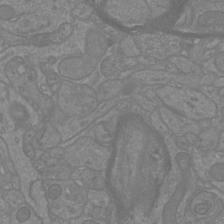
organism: Mouse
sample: Cortical neurons